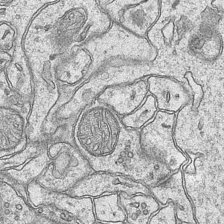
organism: Mouse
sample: CA1 Hippocampus